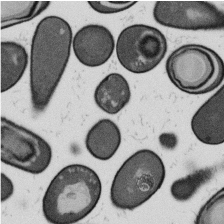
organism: B. subtilis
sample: Bacterial spore